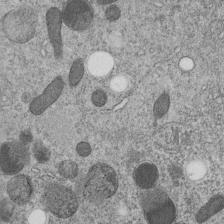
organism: C. elegans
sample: C. elegans embryo early stage